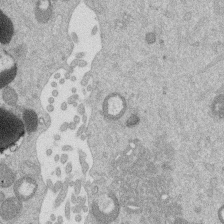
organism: Mouse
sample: Dividing mouse embryo 1 cell stage